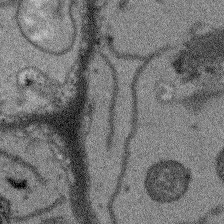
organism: Arabidopsis thaliana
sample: Root tip